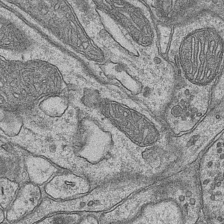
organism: Mouse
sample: CA1 Hippocampus